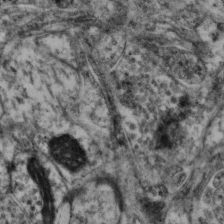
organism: Mouse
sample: Neocortex